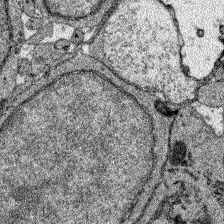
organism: Zebrafish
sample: Larval olfactory bulb